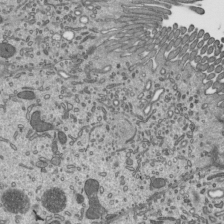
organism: Mouse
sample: Mouse epididymis efferent ductule cilia